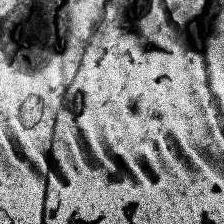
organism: Human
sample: Temporal Lobe